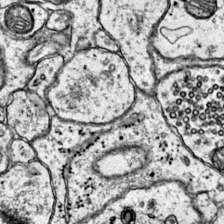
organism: Mouse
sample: Primary visual cortex